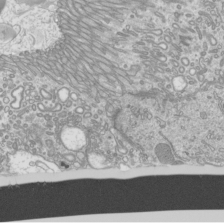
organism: Mouse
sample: Cilia; mouse epididymis